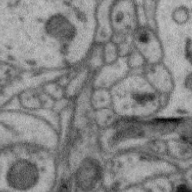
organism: Zebra finch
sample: Brain